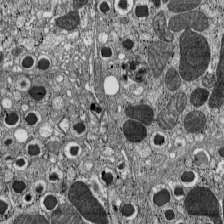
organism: C57BL Mouse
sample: Pancreatic islet